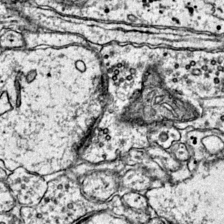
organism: Mouse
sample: Primary visual cortex